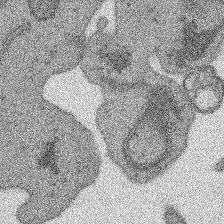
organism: Human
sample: HeLa cells